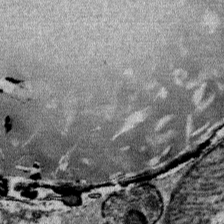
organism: Mouse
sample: Mouse Salivary gland